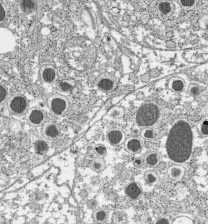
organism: C57BL Mouse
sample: Pancreatic islet